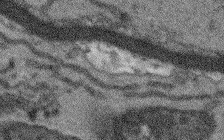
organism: Arabidopsis thaliana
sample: Root tip